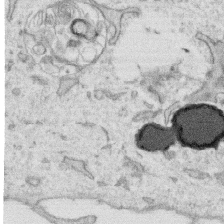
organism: Human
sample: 1205lu cells